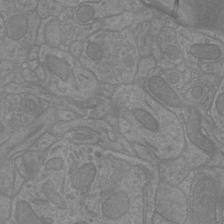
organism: Mouse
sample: Cortical neurons